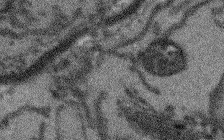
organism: Arabidopsis thaliana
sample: Root tip